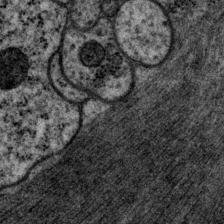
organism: P. pacificus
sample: Pharynx